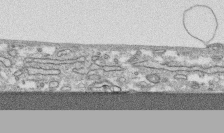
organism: Human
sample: CRL-1474